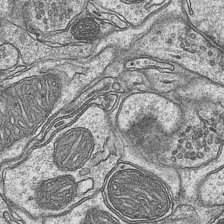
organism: Mouse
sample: CA1 Hippocampus